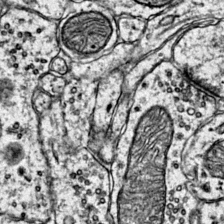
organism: Mouse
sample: Primary visual cortex